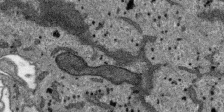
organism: Human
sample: Lung epithelial cells, uninfected (mock) control